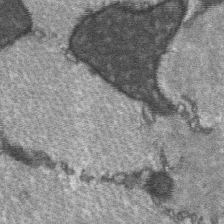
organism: C57BL Mouse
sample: Soleus